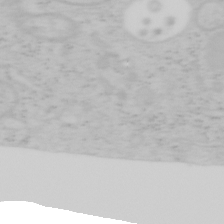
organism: Mouse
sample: OT-I killer T cells with ID8 ovarian cancer cells